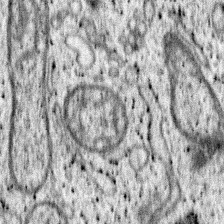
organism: Human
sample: HeLa cells